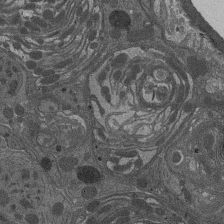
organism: Drosophila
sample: Antenna